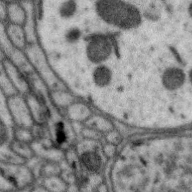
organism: Zebra finch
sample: Brain